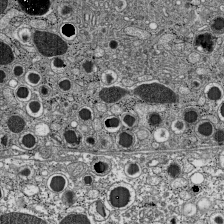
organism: C57BL Mouse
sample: Pancreatic islet